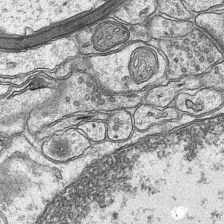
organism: Mouse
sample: CA1 Hippocampus